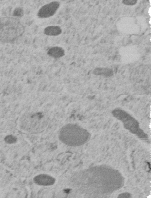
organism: C. elegans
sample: C. elegans embryo early stage